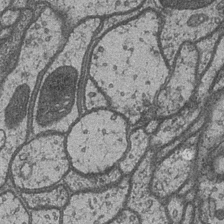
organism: Drosophila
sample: Optic medulla